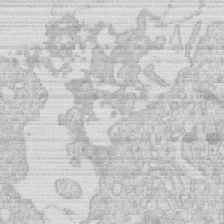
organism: Human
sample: Macrophage cells